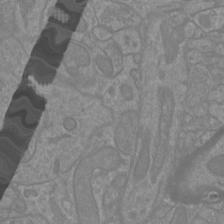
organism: Mouse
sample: Cortical neurons